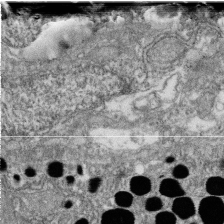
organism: Zebrafish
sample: Cilia; retinal pigment epithelium